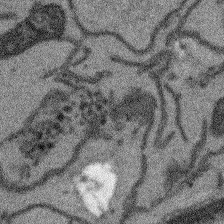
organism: Arabidopsis thaliana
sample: Root tip